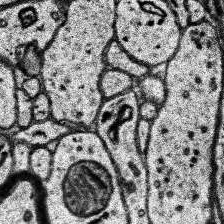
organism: Human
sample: Temporal Lobe